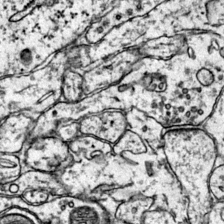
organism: Mouse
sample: Primary visual cortex